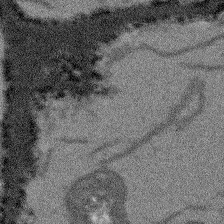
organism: Arabidopsis thaliana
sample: Root tip